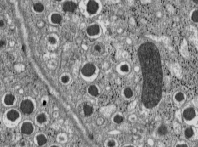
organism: C57BL Mouse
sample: Pancreatic islet